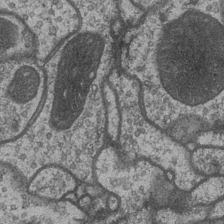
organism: Drosophila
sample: Optic medulla